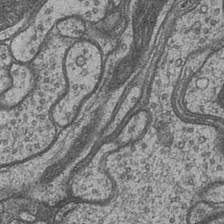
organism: Drosophila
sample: Optic medulla